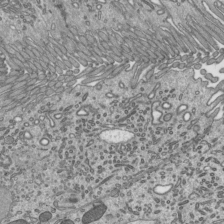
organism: Mouse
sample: Mouse epididymis efferent ductule cilia